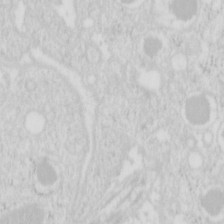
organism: Mouse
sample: Pancreas